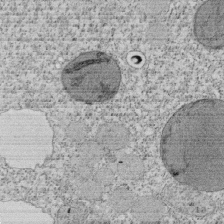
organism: Tetrahymena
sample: Cilia in tetrahymena